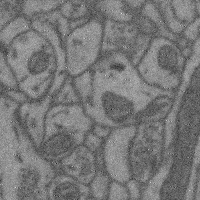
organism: Mouse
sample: Cerebral cortex